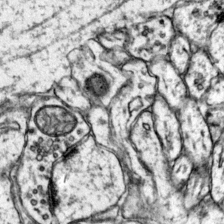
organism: Mouse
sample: Primary visual cortex